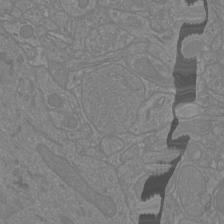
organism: Mouse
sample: Cortical neurons